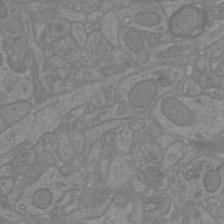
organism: Mouse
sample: Cortical neurons